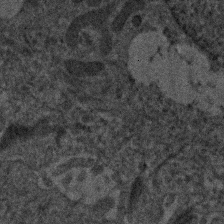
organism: Human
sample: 1205lu cells